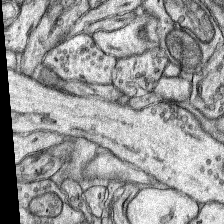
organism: Rat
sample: Hippocampus